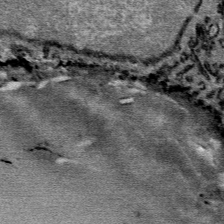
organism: Mouse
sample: Mouse Salivary gland